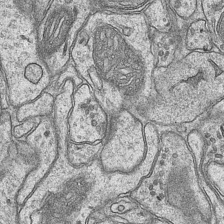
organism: Mouse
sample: CA1 Hippocampus